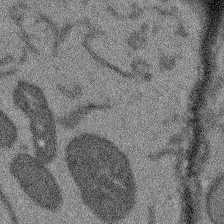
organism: Arabidopsis thaliana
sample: Root tip